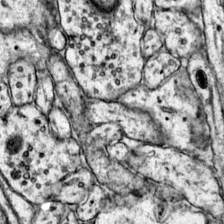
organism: Mouse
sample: Primary visual cortex